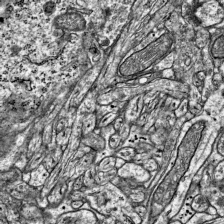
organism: Mouse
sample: Visual Cortex